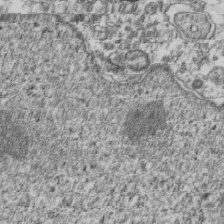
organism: Human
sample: Activated Jurkat CD4+ T cells